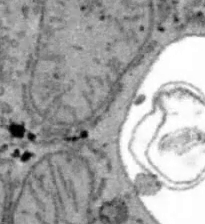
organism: Mouse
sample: Liver from an obese (ob/ob) mouse